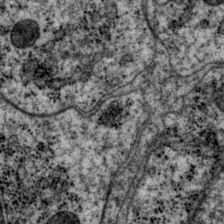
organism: P. pacificus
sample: Pharynx